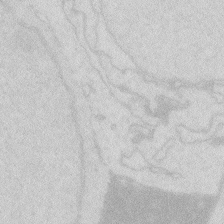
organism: Zebrafish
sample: Macrophage